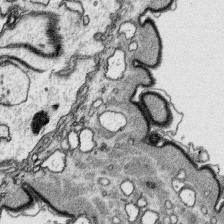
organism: Platynereis dumerilii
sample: Parapodia